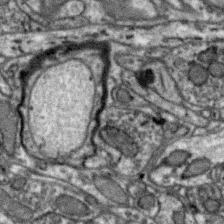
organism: Zebra finch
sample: Brain